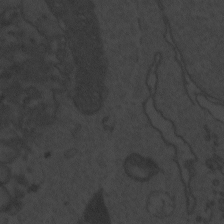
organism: Zebrafish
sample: Macrophage infected with Toxoplasma gondii